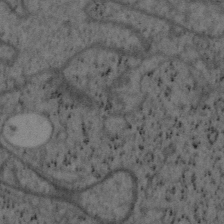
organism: Human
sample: HeLa cells